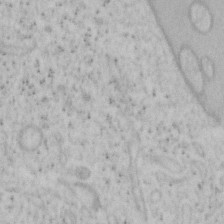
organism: Human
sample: HeLa cells